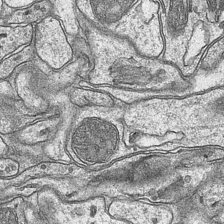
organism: Mouse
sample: CA1 Hippocampus